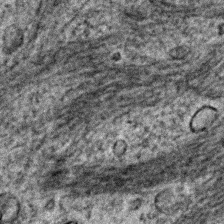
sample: Trachea